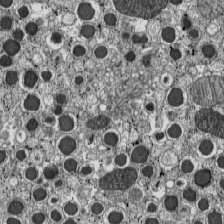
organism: C57BL Mouse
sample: Pancreatic islet